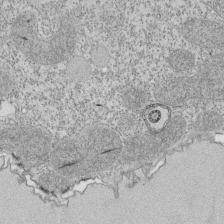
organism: Tetrahymena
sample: Cilia in tetrahymena